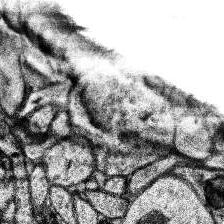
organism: Human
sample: Temporal Lobe